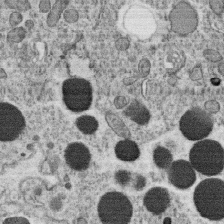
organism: C. elegans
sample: C. elegans oocyte; sperm cells